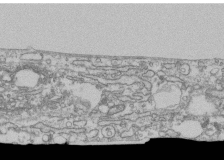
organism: Human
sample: Fibroblast cells